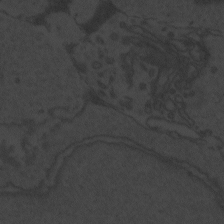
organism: Zebrafish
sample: Macrophage infected with Toxoplasma gondii